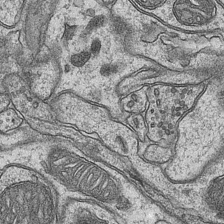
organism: Mouse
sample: CA1 Hippocampus